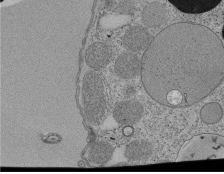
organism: Tetrahymena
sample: Cilia in tetrahymena